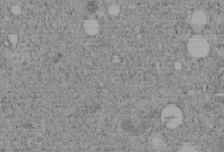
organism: C. elegans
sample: C. elegans embryo early stage